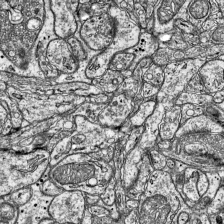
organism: Mouse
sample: Visual Cortex